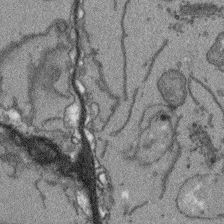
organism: Arabidopsis thaliana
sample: Root tip